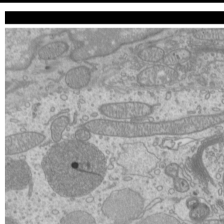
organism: Mouse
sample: Cilia; mouse epididymis